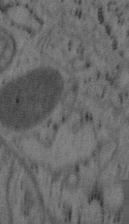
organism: Human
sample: HeLa cells